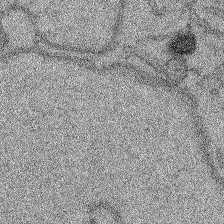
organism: Human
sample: HeLa cells